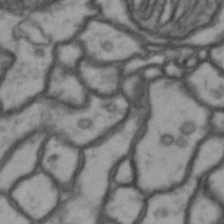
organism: Drosophila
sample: Brain